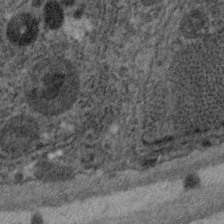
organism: C. elegans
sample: Pharynx